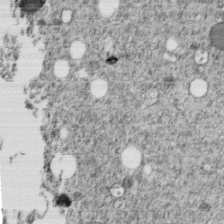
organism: C. elegans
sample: C. elegans embryo early stage